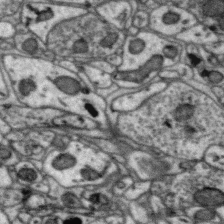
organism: Zebra finch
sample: Brain